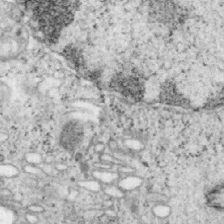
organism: Mouse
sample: OT-I killer T cells with ID8 ovarian cancer cells